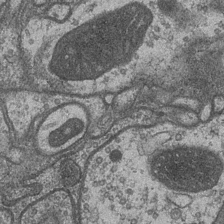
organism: Drosophila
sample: Optic medulla